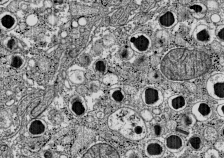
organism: C57BL Mouse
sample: Pancreatic islet